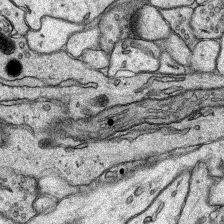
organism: Rat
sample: Hippocampus